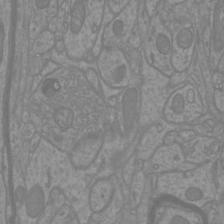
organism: Mouse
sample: Cortical neurons